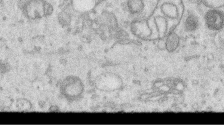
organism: Human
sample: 1205lu cells